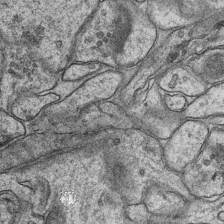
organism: Mouse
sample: CA1 Hippocampus